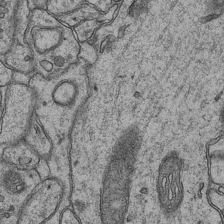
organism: Mouse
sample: CA1 Hippocampus